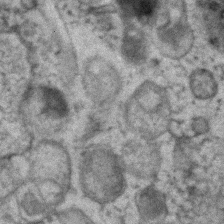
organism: Human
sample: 1205lu cells